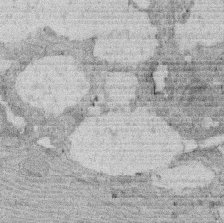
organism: Rat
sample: Salivary granule